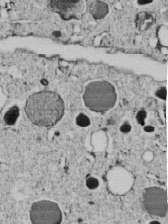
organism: C. elegans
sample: C. elegans embryo early stage